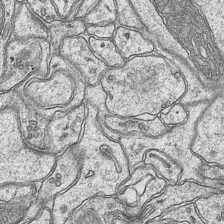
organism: Mouse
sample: CA1 Hippocampus